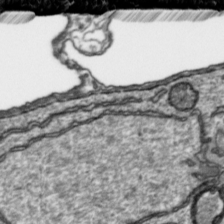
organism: Toxoplasma gondii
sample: Parasites in a vacuole inside a host cell